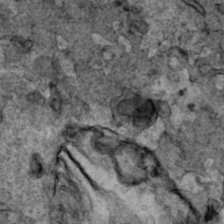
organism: Human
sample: Mitochondria in HCT116 cells